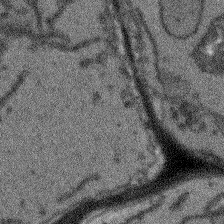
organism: Arabidopsis thaliana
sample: Root tip